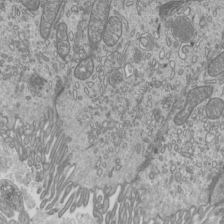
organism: Mouse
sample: Cilia; mouse epididymis